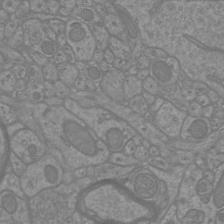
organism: Mouse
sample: Cortical neurons